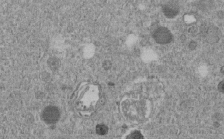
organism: C. elegans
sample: C. elegans embryo early stage